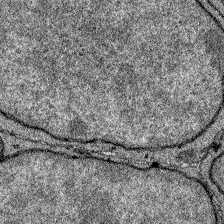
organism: Zebrafish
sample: Larval olfactory bulb